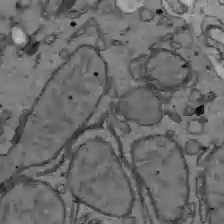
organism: C57BL Mouse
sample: Liver